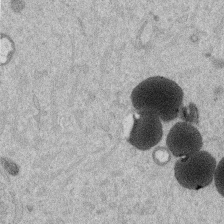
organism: Mouse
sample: Dividing mouse embryo 1 cell stage